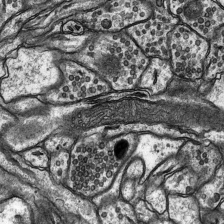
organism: Rat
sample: Hippocampus